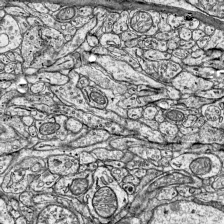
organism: Mouse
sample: Visual Cortex